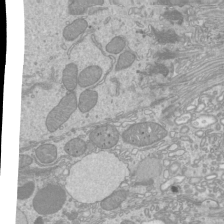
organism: Mouse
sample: Cilia; mouse epididymis